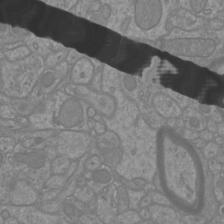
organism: Mouse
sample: Cortical neurons